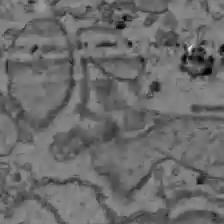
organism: C57BL Mouse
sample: Liver